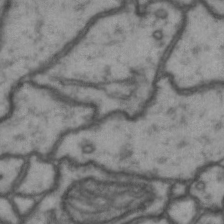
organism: Drosophila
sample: Brain